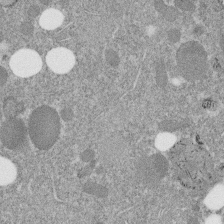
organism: C. elegans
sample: C. elegans embryo early stage